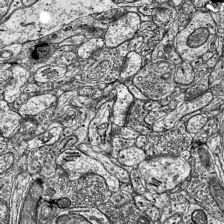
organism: Mouse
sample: Visual Cortex